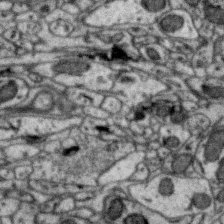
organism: Zebra finch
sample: Brain